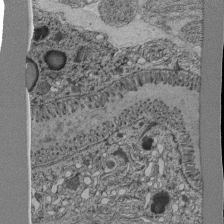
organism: C. elegans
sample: C. elegans pharynx